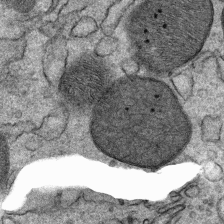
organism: Mouse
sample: Mouse Salivary gland